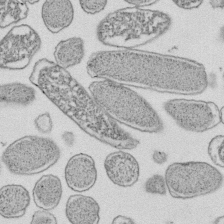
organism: E. coli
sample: Bacterial nucleoid